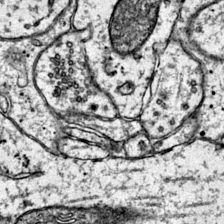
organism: Mouse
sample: Primary visual cortex